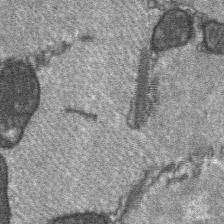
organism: C57BL Mouse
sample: Soleus